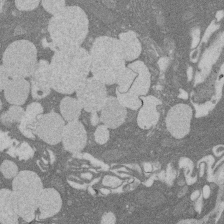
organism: Rat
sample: Salivary granule